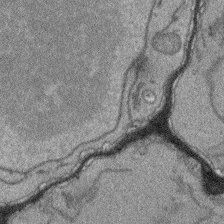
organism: Arabidopsis thaliana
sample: Root tip